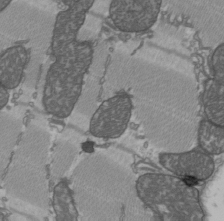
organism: C57BL Mouse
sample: Heart